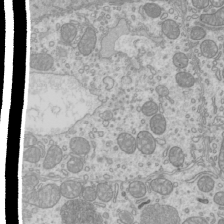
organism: Mouse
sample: Cilia; mouse epididymis